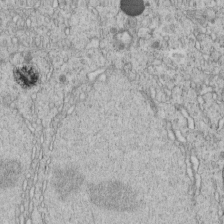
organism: C. elegans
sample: C. elegans embryo early stage